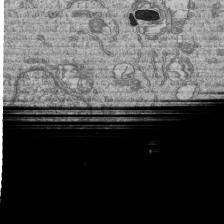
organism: Human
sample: MDA-MB-231 cells